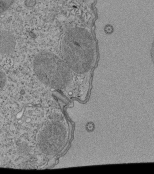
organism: Tetrahymena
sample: Cilia in tetrahymena